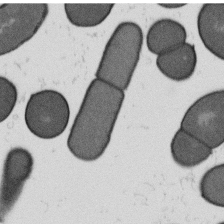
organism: B. subtilis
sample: Bacterial spore